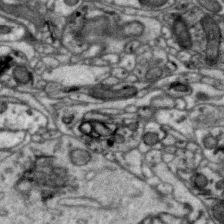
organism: Zebra finch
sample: Brain